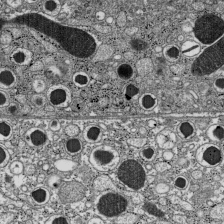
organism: C57BL Mouse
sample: Pancreatic islet